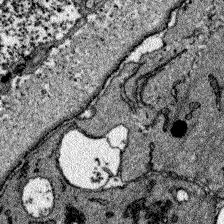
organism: Zebrafish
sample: Larval olfactory bulb